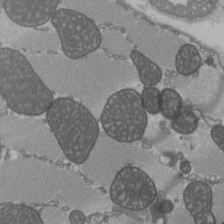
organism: C57BL Mouse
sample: Heart